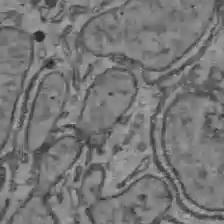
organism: C57BL Mouse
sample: Liver